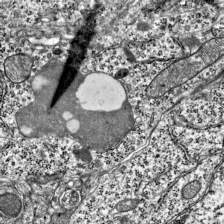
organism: Mouse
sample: Visual Cortex